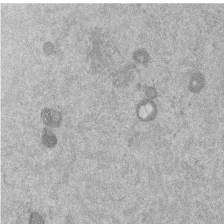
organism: Mouse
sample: Dividing mouse embryo 1 cell stage